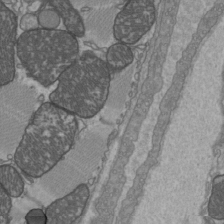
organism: C57BL Mouse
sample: Heart